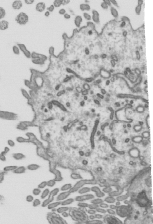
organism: Mouse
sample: Mouse epididymis efferent ductule cilia